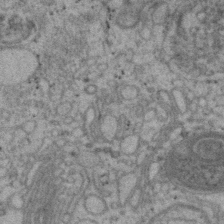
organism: Human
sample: HeLa cells